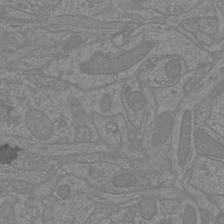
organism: Mouse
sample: Cortical neurons